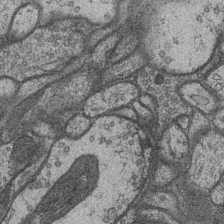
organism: Drosophila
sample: Optic medulla